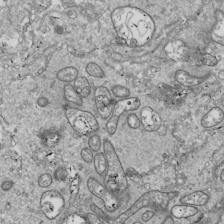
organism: Drosophila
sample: Cell division; meiosis; drosophila spermatocytes